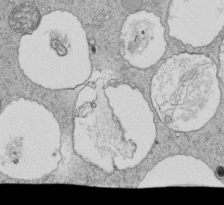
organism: Tetrahymena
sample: Cilia in tetrahymena